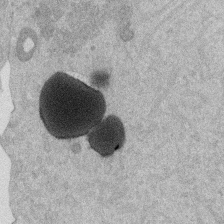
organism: Mouse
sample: Dividing mouse embryo 1 cell stage